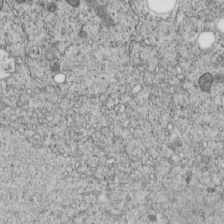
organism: C. elegans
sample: C. elegans embryo early stage